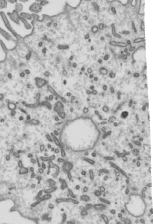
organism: Mouse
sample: Mouse epididymis efferent ductule cilia